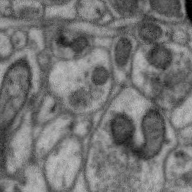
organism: Zebra finch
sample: Brain